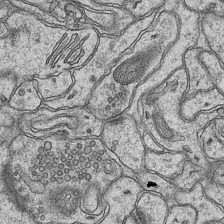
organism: Mouse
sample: CA1 Hippocampus